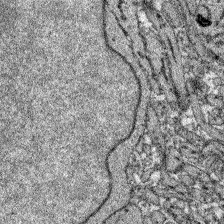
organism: Zebrafish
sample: Larval olfactory bulb